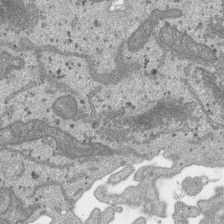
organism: Human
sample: Lung epithelial cells infected with SARS-CoV-2